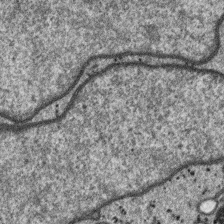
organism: Human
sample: Lung epithelial cells infected with SARS-CoV-2